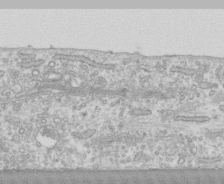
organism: Human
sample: CRL-1474